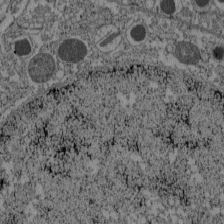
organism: C57BL Mouse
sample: Pancreatic islet